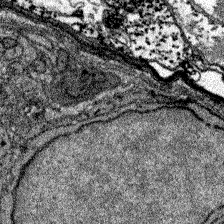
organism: Zebrafish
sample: Larval olfactory bulb